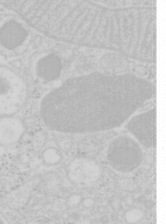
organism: Mouse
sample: Pancreas